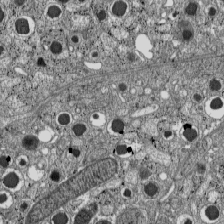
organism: C57BL Mouse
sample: Pancreatic islet